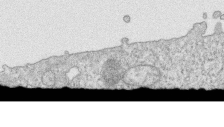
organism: Human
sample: HeLa cell HIV synapse